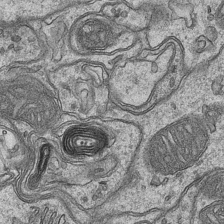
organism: Mouse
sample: CA1 Hippocampus